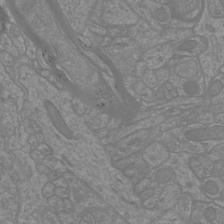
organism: Mouse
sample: Cortical neurons